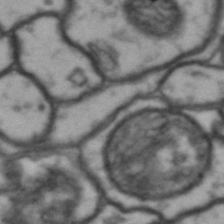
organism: Drosophila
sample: Brain